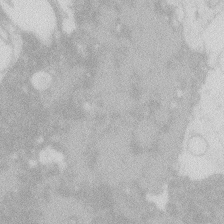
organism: Zebrafish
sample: Macrophage